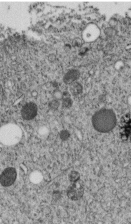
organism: C. elegans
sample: C. elegans embryo early stage